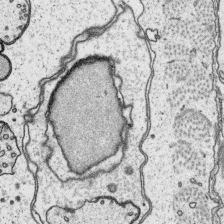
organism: Platynereis dumerilii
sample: Parapodia